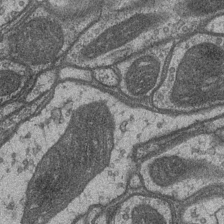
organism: Drosophila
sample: Optic medulla